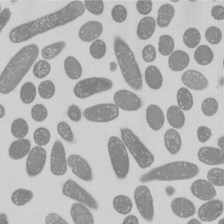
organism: E. coli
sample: Bacterial nucleoid